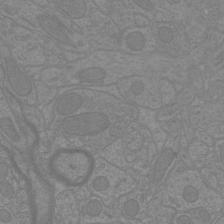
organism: Mouse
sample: Cortical neurons